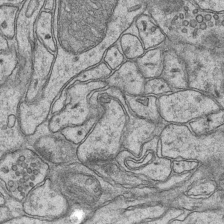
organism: Mouse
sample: CA1 Hippocampus